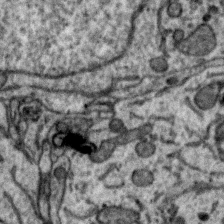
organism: Zebra finch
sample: Brain